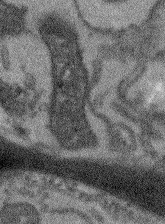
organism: Arabidopsis thaliana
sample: Root tip